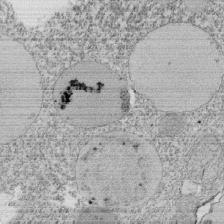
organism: Tetrahymena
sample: Cilia in tetrahymena